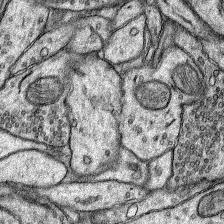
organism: Rat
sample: Hippocampus